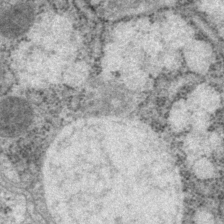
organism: P. pacificus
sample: Pharynx